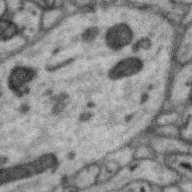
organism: Zebra finch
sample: Brain